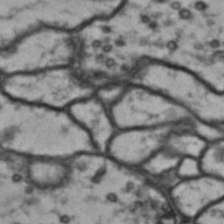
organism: Drosophila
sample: Brain